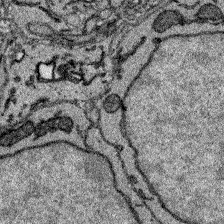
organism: Zebrafish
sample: Larval olfactory bulb